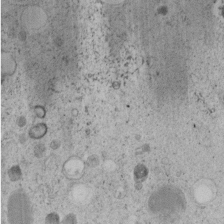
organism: C. elegans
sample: C. elegans embryo early stage